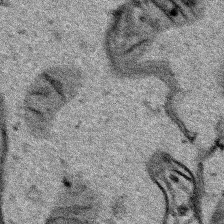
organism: Human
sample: Mitochondria in HCT116 cells